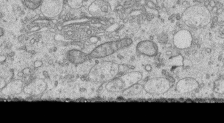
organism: Human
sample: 1205lu cells